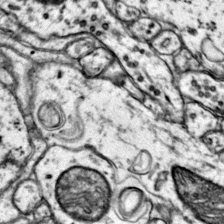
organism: Mouse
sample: Primary visual cortex